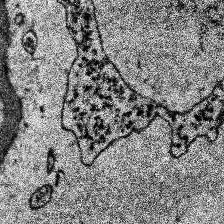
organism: Human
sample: Temporal Lobe